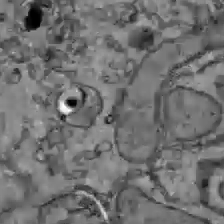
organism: C57BL Mouse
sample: Liver